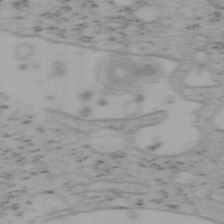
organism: Mouse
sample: OT-I killer T cells with ID8 ovarian cancer cells